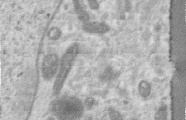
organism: Human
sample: Centriole in RPE cells